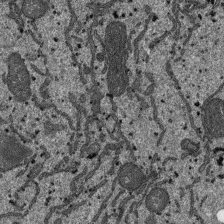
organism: Human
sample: Lung epithelial cells infected with SARS-CoV-2